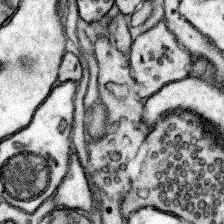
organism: Mouse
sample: Somatosensory cortex neuropil